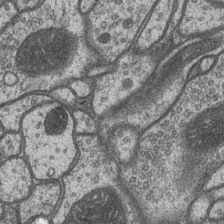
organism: Drosophila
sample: Optic medulla